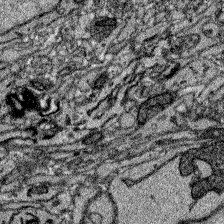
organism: Zebrafish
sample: Larval olfactory bulb